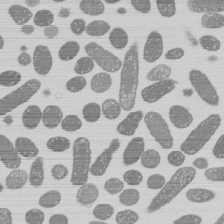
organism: E. coli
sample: Bacterial nucleoid